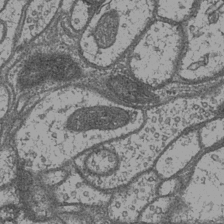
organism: Drosophila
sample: Optic medulla